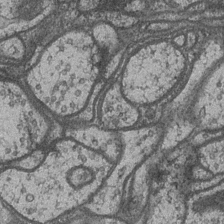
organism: Drosophila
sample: Optic medulla